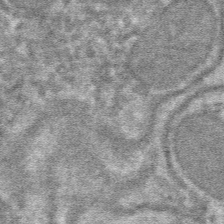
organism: Mouse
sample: Mouse hepatocytes